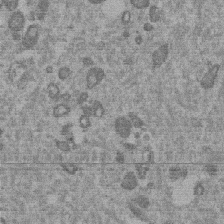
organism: Mouse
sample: Dividing mouse embryo 1 cell stage